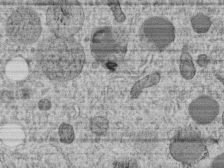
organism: C. elegans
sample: C. elegans embryo early stage